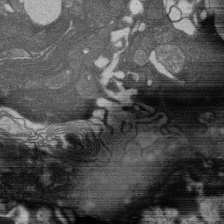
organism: Rat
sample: Salivary granule